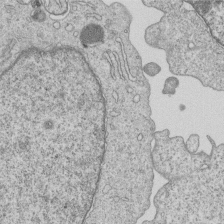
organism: Human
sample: MDA-MB-231 cells